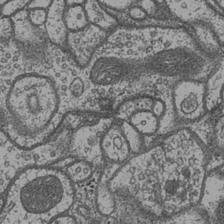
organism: Drosophila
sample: Optic medulla